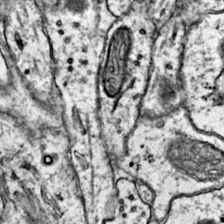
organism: Mouse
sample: Primary visual cortex